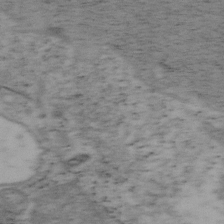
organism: Mouse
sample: OT-I killer T cells with ID8 ovarian cancer cells